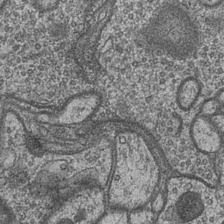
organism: Drosophila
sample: Optic medulla